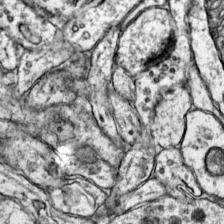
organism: Mouse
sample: Primary visual cortex